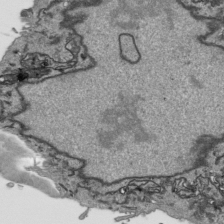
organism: Human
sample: Mitochondria in HCT116 cells